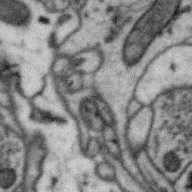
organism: Zebra finch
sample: Brain